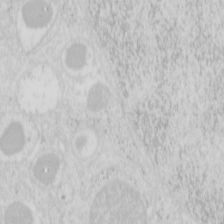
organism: Mouse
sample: Pancreas